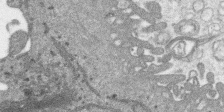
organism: Human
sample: Lung epithelial cells infected with SARS-CoV-2